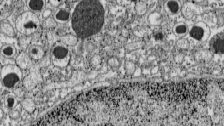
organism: C57BL Mouse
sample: Pancreatic islet